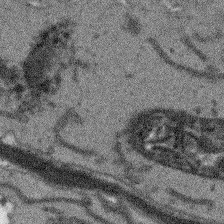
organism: Arabidopsis thaliana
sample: Root tip